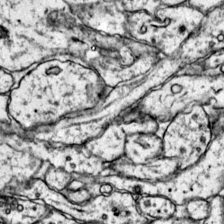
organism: Mouse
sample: Primary visual cortex